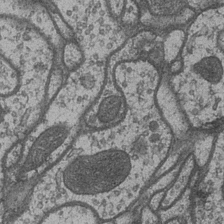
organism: Drosophila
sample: Optic medulla